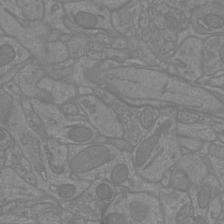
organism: Mouse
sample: Cortical neurons